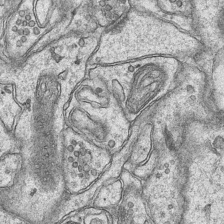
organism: Mouse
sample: CA1 Hippocampus